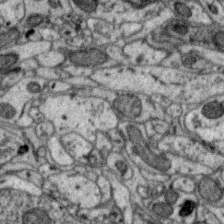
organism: Zebra finch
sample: Brain